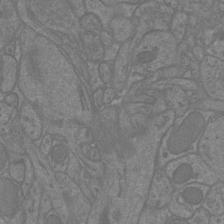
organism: Mouse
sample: Cortical neurons